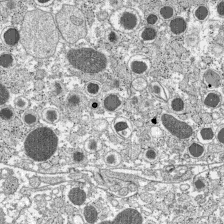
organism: C57BL Mouse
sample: Pancreatic islet